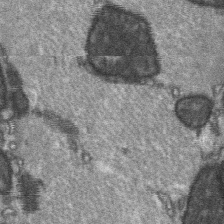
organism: C57BL Mouse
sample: Soleus